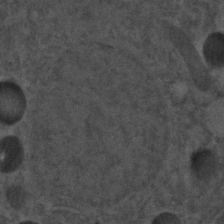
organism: C. elegans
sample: C. elegans embryo